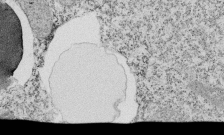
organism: Tetrahymena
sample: Cilia in tetrahymena